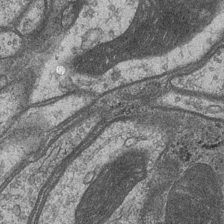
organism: Drosophila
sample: Optic medulla